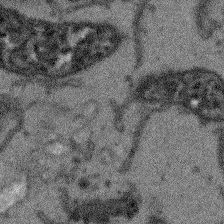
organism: Arabidopsis thaliana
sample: Root tip